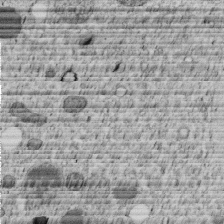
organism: C. elegans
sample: C. elegans embryo early stage